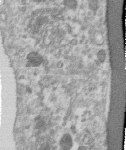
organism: Human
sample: Centriole in RPE cells